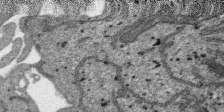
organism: Human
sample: Lung epithelial cells infected with SARS-CoV-2